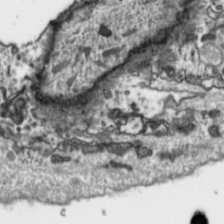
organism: Toxoplasma gondii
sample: Parasites in a vacuole inside a host cell